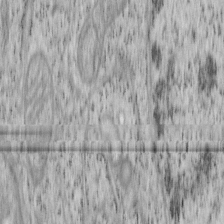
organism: Human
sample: HeLa cells